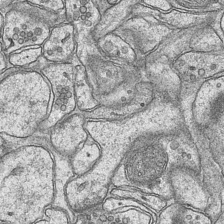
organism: Mouse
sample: CA1 Hippocampus